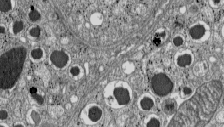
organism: C57BL Mouse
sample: Pancreatic islet